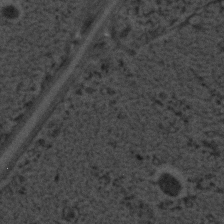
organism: C. elegans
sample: C. elegans embryo